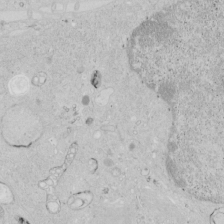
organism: Human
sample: Mitochondria in HCT116 cells